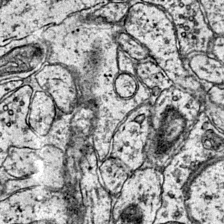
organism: Mouse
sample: Primary visual cortex